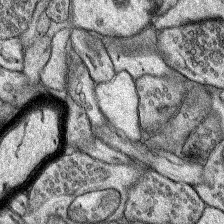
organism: Rat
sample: Hippocampus